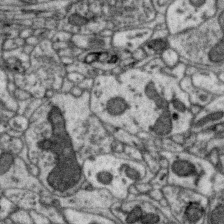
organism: Zebra finch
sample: Brain